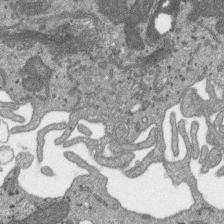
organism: Human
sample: Lung epithelial cells infected with SARS-CoV-2